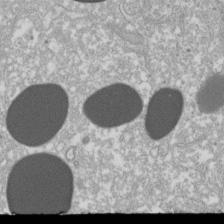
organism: Xenopus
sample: Cilia; centrioles in frog embryo cells